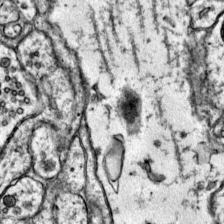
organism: Mouse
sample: Primary visual cortex